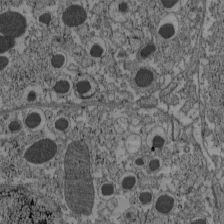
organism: C57BL Mouse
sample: Pancreatic islet